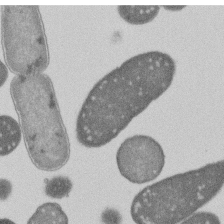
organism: E. coli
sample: Bacterial nucleoid